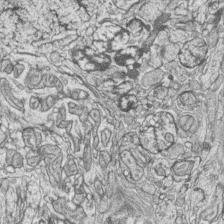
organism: Zebrafish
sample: synaptic ribbons in rod cells and cone cells